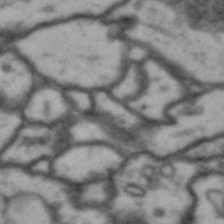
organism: Drosophila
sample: Brain